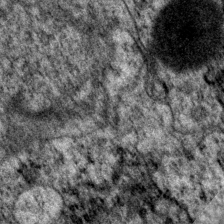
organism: P. pacificus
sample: Pharynx